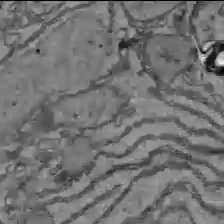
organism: C57BL Mouse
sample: Liver